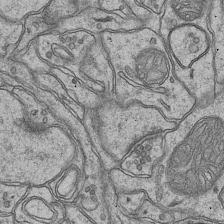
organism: Mouse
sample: CA1 Hippocampus